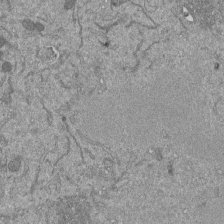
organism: Mouse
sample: ED-1 cell nuclei; centrioles